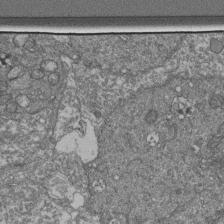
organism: Human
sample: Retinal organoid Rod and Cone cells